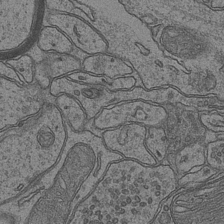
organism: Mouse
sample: CA1 Hippocampus